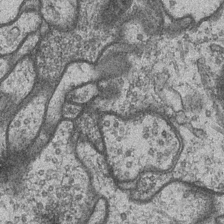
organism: Drosophila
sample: Optic medulla